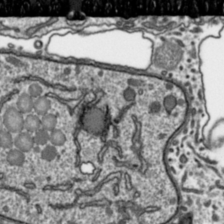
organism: Toxoplasma gondii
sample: Parasites in a vacuole inside a host cell